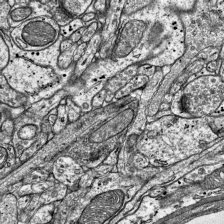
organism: Mouse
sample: Visual Cortex